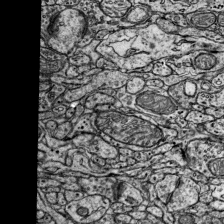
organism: Mouse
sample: Visual Cortex